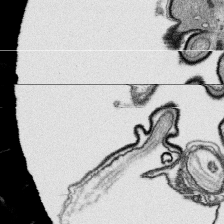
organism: Platynereis dumerilii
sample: Parapodia